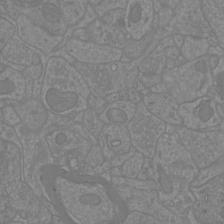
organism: Mouse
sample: Cortical neurons